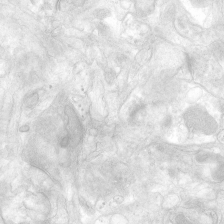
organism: Human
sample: Neocortex